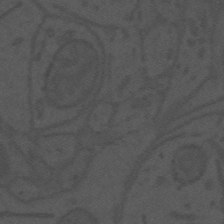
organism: Mouse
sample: Suprachiasmatic nucleus